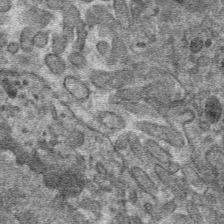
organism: Mouse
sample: Mouse hepatocytes